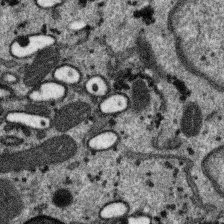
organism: Human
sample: Lung epithelial cells infected with SARS-CoV-2